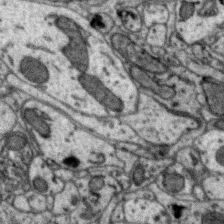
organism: Zebra finch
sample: Brain